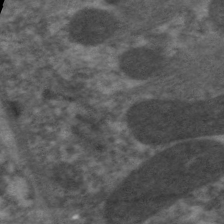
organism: C. elegans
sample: Pharynx